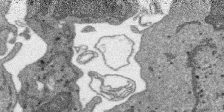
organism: Human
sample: Lung epithelial cells infected with SARS-CoV-2